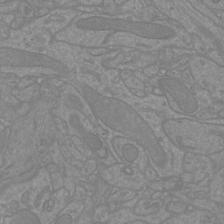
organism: Mouse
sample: Cortical neurons